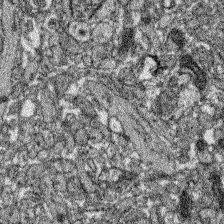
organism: Zebrafish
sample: Larval olfactory bulb